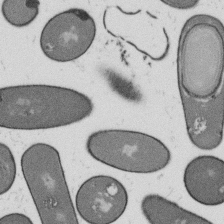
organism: B. subtilis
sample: Bacterial spore